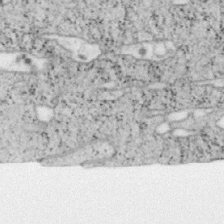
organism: Mouse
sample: OT-I killer T cells with ID8 ovarian cancer cells